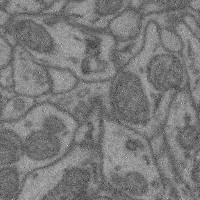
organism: Mouse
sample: Cerebral cortex